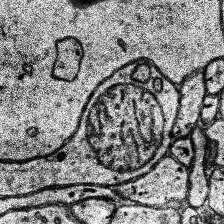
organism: Human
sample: Temporal Lobe